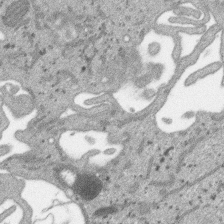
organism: Human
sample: Lung epithelial cells infected with SARS-CoV-2